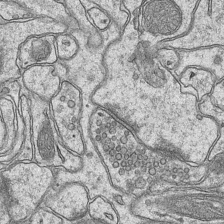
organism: Mouse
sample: CA1 Hippocampus